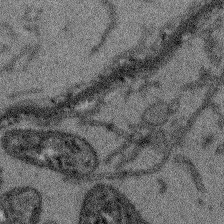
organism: Arabidopsis thaliana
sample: Root tip